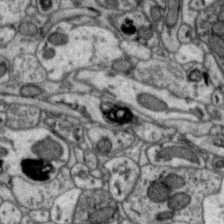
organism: Zebra finch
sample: Brain